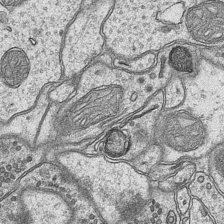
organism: Mouse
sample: CA1 Hippocampus